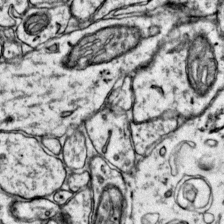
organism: Mouse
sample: Primary visual cortex